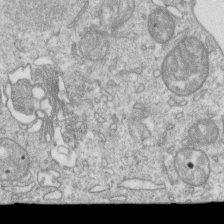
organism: Mouse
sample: Activated OT-1 CD8+ T cells